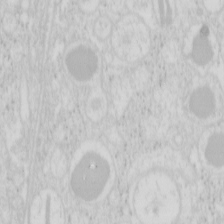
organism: Mouse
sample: Pancreas